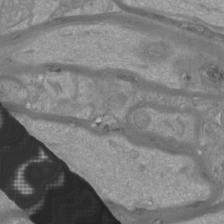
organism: Mouse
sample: Cortical neurons